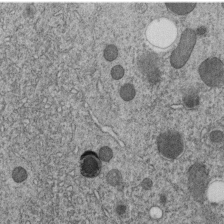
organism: C. elegans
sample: C. elegans embryo early stage